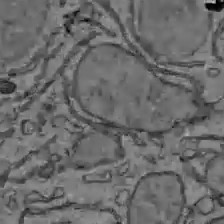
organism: C57BL Mouse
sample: Liver